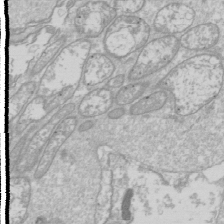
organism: Drosophila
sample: Cell division; meiosis; drosophila spermatocytes